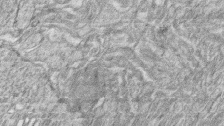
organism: Zebrafish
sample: synaptic ribbons in rod cells and cone cells